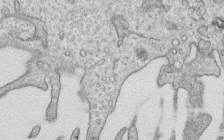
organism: Human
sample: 1205lu cells